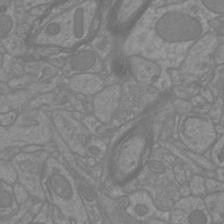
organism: Mouse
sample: Cortical neurons